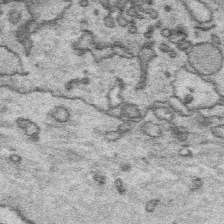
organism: Platynereis dumerilii